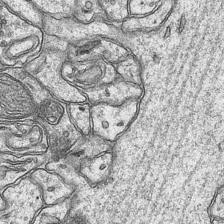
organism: Mouse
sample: CA1 Hippocampus